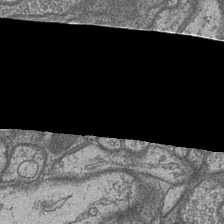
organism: Drosophila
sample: Optic medulla